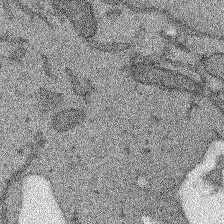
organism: Human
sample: HeLa cells